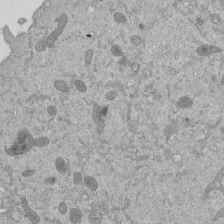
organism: Mouse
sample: ED-1 cell nuclei; centrioles